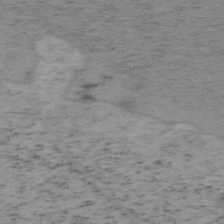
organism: Mouse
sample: OT-I killer T cells with ID8 ovarian cancer cells